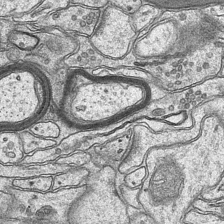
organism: Mouse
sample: CA1 Hippocampus